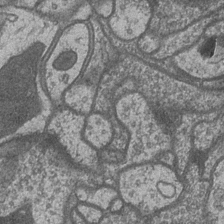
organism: Drosophila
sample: Optic medulla